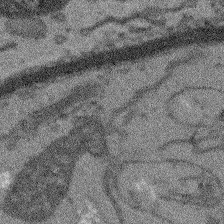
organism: Arabidopsis thaliana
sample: Root tip